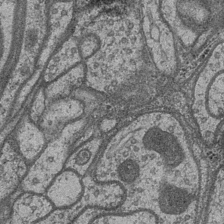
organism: Drosophila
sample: Optic medulla